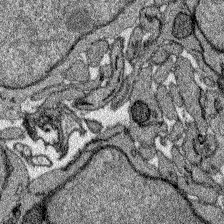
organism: Zebrafish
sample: Larval olfactory bulb